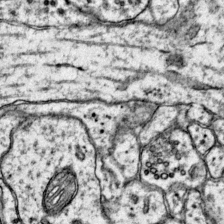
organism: Mouse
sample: Primary visual cortex